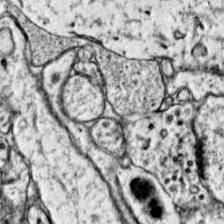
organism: Mouse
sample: Primary visual cortex